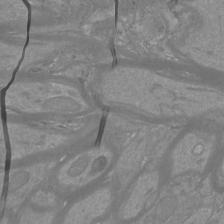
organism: Mouse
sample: Cortical neurons